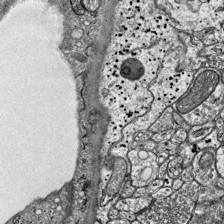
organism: Mouse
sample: Visual Cortex